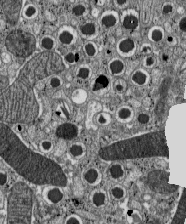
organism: C57BL Mouse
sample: Pancreatic islet